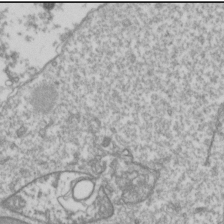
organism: Drosophila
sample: Cell division; meiosis; drosophila spermatocytes